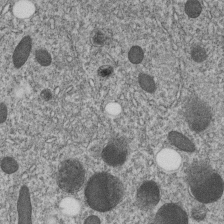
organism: C. elegans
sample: C. elegans embryo early stage